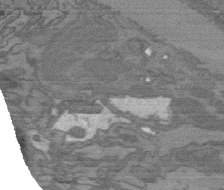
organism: C. elegans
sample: AFD neurons C. elegans